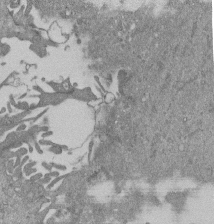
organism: Mouse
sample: ED-1 cell nuclei; centrioles